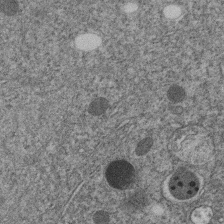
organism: C. elegans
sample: C. elegans embryo early stage